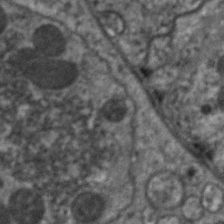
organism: C. elegans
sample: Pharynx